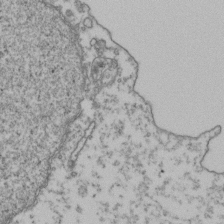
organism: Human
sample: Activated Jurkat CD4+ T cells